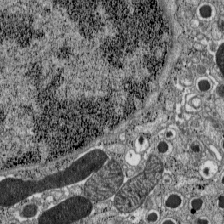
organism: C57BL Mouse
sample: Pancreatic islet